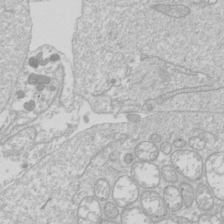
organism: Drosophila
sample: Cell division; meiosis; drosophila spermatocytes